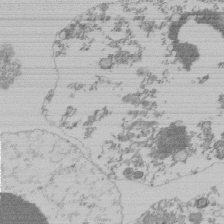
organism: Mouse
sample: Activated Pmel transgenic CD8+ T Cells